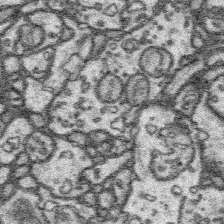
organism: Platynereis dumerilii